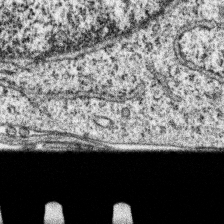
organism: Human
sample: HeLa cells